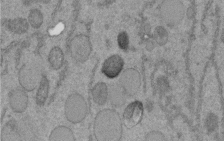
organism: C. elegans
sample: C. elegans embryo early stage